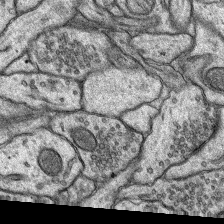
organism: Rat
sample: Hippocampus